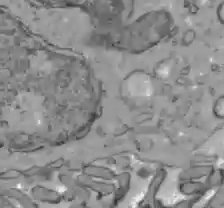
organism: C57BL Mouse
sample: Liver